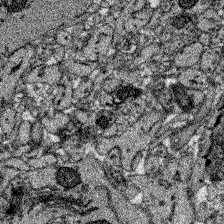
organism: Zebrafish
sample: Larval olfactory bulb